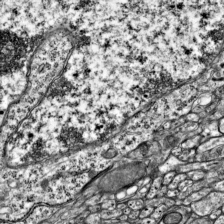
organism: Mouse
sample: Visual Cortex